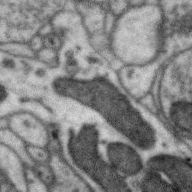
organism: Zebra finch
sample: Brain